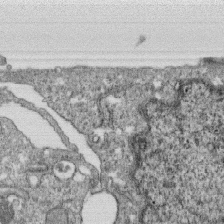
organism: African green monkey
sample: Vero E6 cells infected with SARS-CoV-2